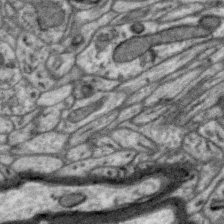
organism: Zebra finch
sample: Brain